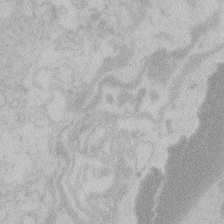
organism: Zebrafish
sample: Macrophage infected with Toxoplasma gondii